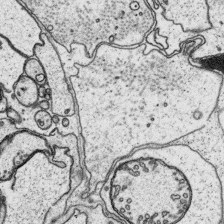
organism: Platynereis dumerilii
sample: Parapodia